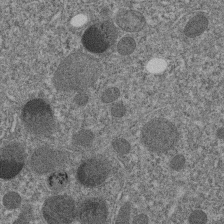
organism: C. elegans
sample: C. elegans embryo early stage